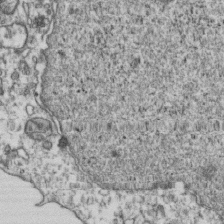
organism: Human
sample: Activated Jurkat CD4+ T cells